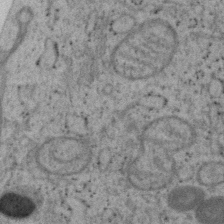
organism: Human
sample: HeLa cells